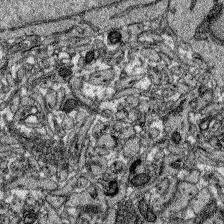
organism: Zebrafish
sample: Larval olfactory bulb